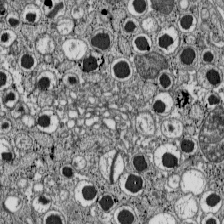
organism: C57BL Mouse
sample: Pancreatic islet